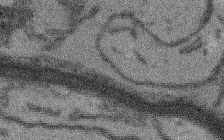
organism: Arabidopsis thaliana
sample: Root tip